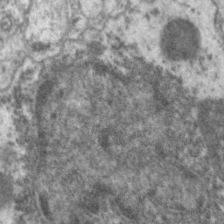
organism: C. elegans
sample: Pharynx